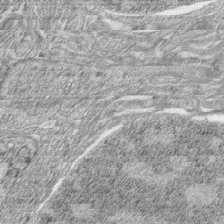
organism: Zebrafish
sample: synaptic ribbons in rod cells and cone cells